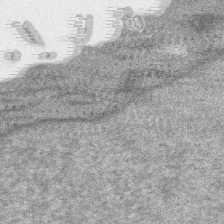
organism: Human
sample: Lung epithelial cells infected with SARS-CoV-2